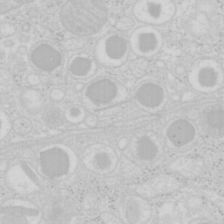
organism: Mouse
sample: Pancreas